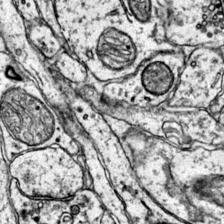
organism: Mouse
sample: Primary visual cortex